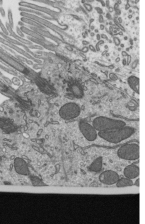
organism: Mouse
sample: Mouse epididymis efferent ductule cilia